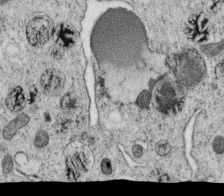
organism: C. elegans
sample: C. elegans oocyte; sperm cells